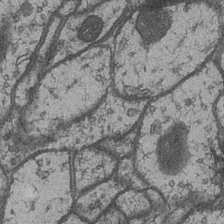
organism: Drosophila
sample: Optic medulla